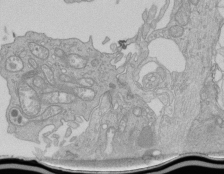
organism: Human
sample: Retinal organoid Rod and Cone cells